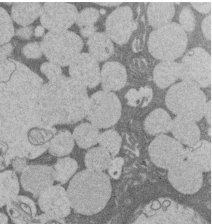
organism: Rat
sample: Salivary granule